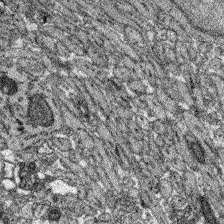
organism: Zebrafish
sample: Larval olfactory bulb